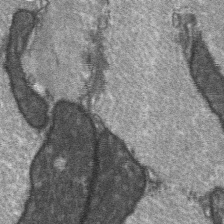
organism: C57BL Mouse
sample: Soleus